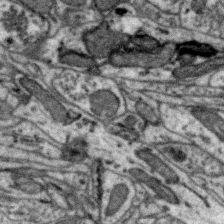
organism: Zebra finch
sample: Brain